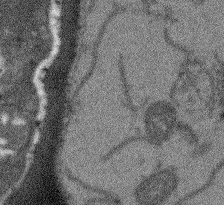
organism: Arabidopsis thaliana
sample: Root tip